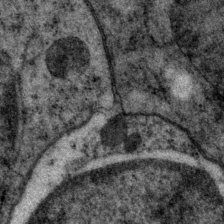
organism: P. pacificus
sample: Pharynx